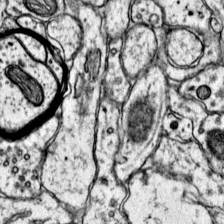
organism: Mouse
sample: Primary visual cortex